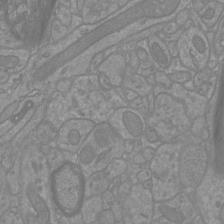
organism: Mouse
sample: Cortical neurons